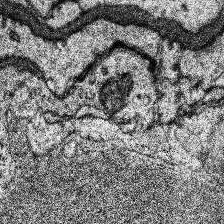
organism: Human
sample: Temporal Lobe